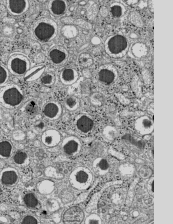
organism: C57BL Mouse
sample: Pancreatic islet